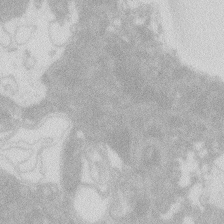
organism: Zebrafish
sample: Macrophage